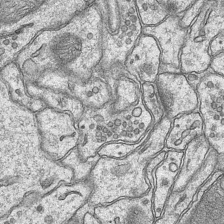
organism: Mouse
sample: CA1 Hippocampus